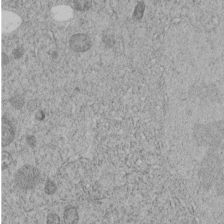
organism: C. elegans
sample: C. elegans embryo early stage